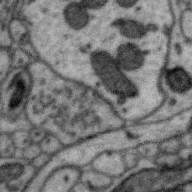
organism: Zebra finch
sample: Brain